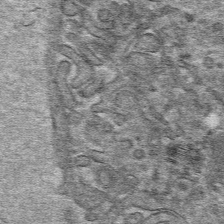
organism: Mouse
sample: Mouse hepatocytes